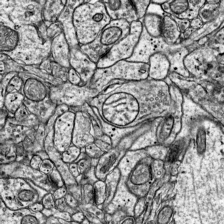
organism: Mouse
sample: Visual Cortex